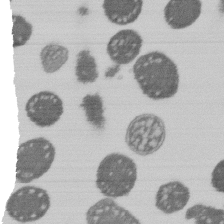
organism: E. coli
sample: Bacterial nucleoid